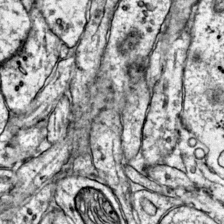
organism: Mouse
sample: Primary visual cortex